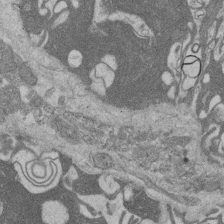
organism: Rat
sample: Salivary granule